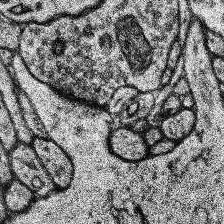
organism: Human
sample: Temporal Lobe